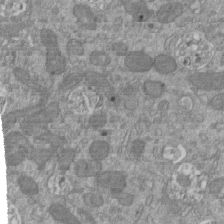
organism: Mouse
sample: ED-1 cell nuclei; centrioles